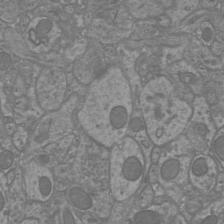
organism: Mouse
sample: Cortical neurons